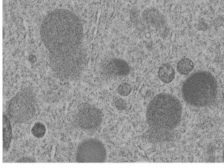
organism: C. elegans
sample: C. elegans embryo early stage